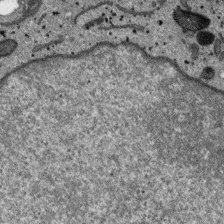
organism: Human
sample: Lung epithelial cells, uninfected (mock) control